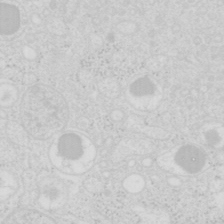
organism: Mouse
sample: Pancreas